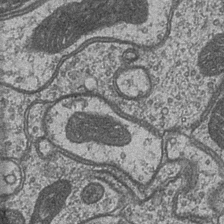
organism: Drosophila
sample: Optic medulla